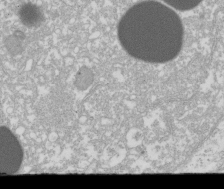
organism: Xenopus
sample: Cilia; centrioles in frog embryo cells